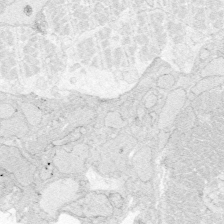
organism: Zebrafish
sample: Whole-Brain